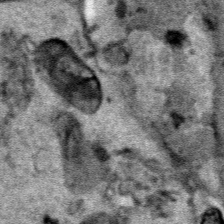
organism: Human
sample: Mitochondria in HCT116 cells